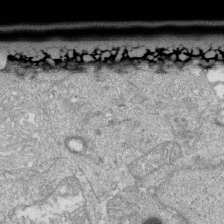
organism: Human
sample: HeLa cell HIV synapse